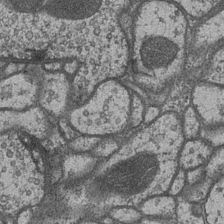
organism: Drosophila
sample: Optic medulla